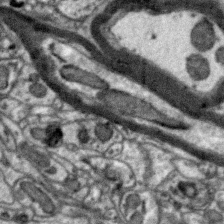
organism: Zebra finch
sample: Brain